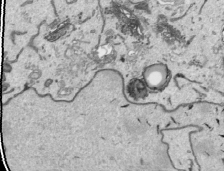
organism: Human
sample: Mitochondria in HCT116 cells